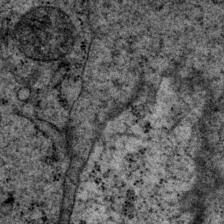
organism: P. pacificus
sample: Pharynx